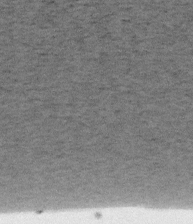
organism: Mouse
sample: OT-I killer T cells with ID8 ovarian cancer cells